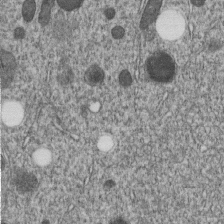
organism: C. elegans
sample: C. elegans embryo early stage